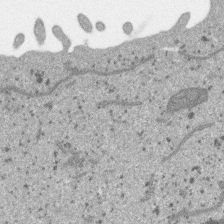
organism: Human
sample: Lung epithelial cells infected with SARS-CoV-2